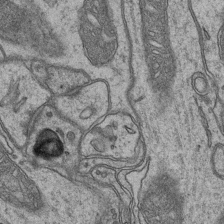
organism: Mouse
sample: CA1 Hippocampus